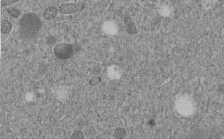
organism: C. elegans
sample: C. elegans embryo early stage